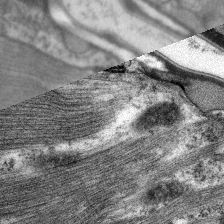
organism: C. elegans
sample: Pharynx